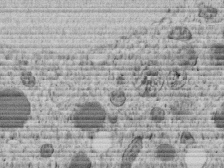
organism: C. elegans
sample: C. elegans embryo early stage